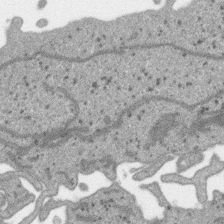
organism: Human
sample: Lung epithelial cells infected with SARS-CoV-2